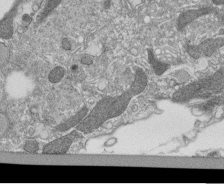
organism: Tetrahymena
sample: Cilia in tetrahymena